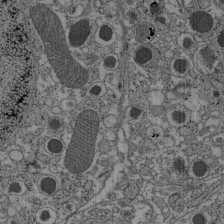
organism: C57BL Mouse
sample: Pancreatic islet